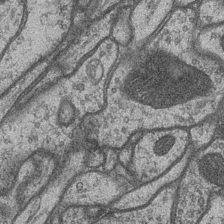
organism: Drosophila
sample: Optic medulla